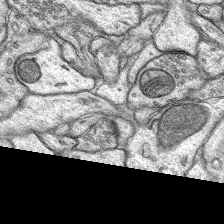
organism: Rat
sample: Hippocampus